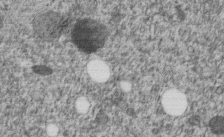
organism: C. elegans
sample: C. elegans embryo early stage